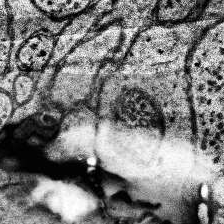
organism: Human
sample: Temporal Lobe